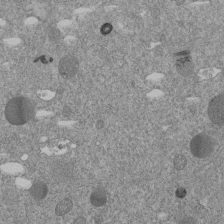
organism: C. elegans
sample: C. elegans embryo early stage